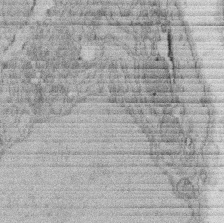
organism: Rat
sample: Salivary granule